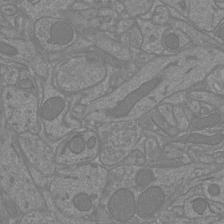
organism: Mouse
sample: Cortical neurons